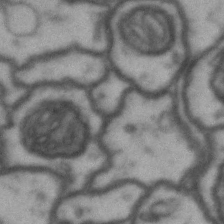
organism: Drosophila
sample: Brain